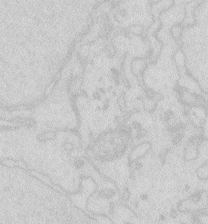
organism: Zebrafish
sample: Macrophage